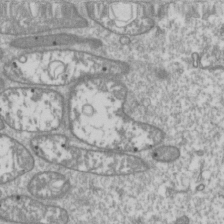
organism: Drosophila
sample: Cell division; meiosis; drosophila spermatocytes